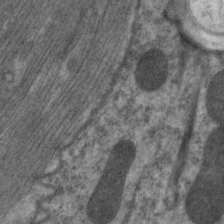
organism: C. elegans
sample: Pharynx